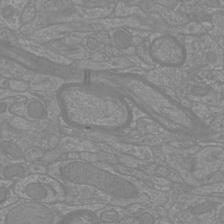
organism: Mouse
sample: Cortical neurons